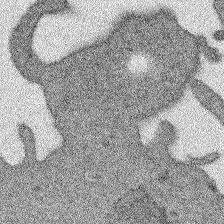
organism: Human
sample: HeLa cells